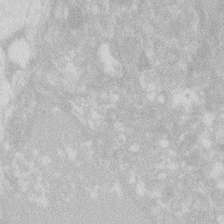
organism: Zebrafish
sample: Macrophage